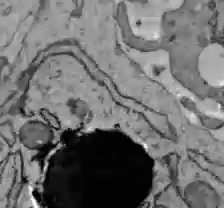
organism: C57BL Mouse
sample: Liver